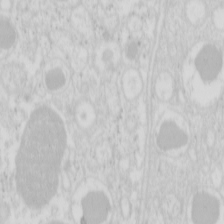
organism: Mouse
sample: Pancreas